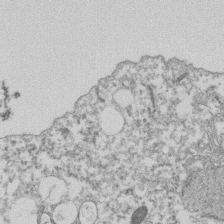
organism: Dictyostelium discoideum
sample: Dictyostelium multivesicular bodies